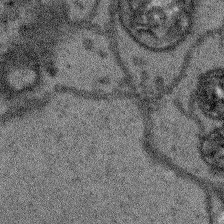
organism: Arabidopsis thaliana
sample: Root tip